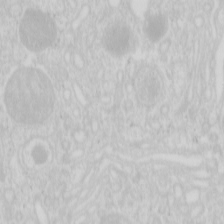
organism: Mouse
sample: Pancreas